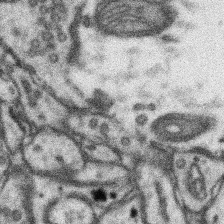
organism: Mouse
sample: Somatosensory cortex neuropil